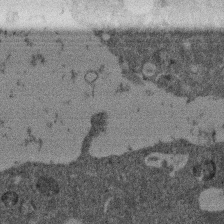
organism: Mouse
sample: Dividing mouse embryo 1 cell stage